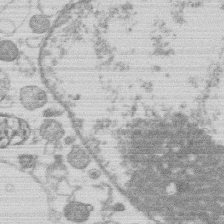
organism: Human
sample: Macrophage cells